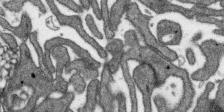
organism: Human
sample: Lung epithelial cells, uninfected (mock) control